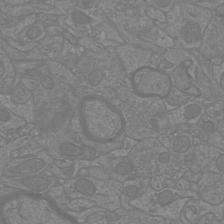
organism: Mouse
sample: Cortical neurons